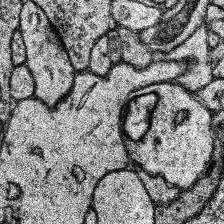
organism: Human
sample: Temporal Lobe